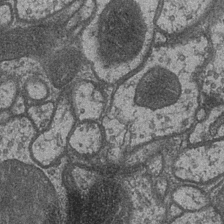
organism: Drosophila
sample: Optic medulla